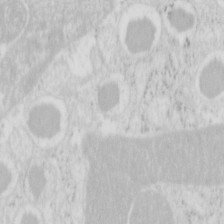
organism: Mouse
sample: Pancreas